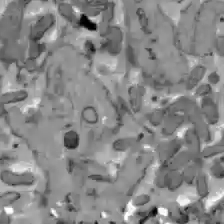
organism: C57BL Mouse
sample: Liver